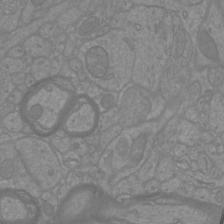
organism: Mouse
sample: Cortical neurons